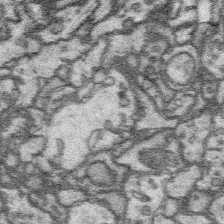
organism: Platynereis dumerilii